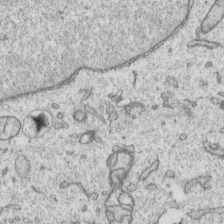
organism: Human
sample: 1205lu cells